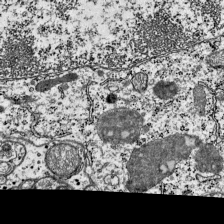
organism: Mouse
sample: Visual Cortex